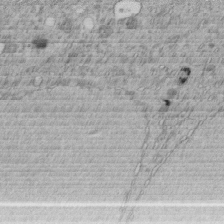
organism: C. elegans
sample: C. elegans embryo early stage